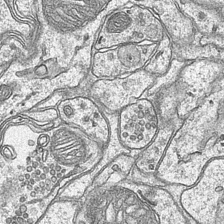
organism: Mouse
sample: CA1 Hippocampus